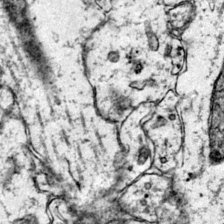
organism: Mouse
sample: Primary visual cortex